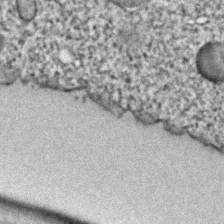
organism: C. elegans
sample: C. elegans embryo